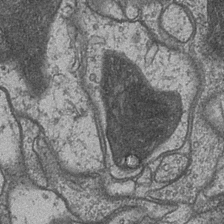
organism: Drosophila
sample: Optic medulla